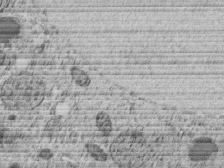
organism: C. elegans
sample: C. elegans embryo early stage